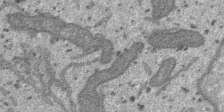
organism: Human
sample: Lung epithelial cells infected with SARS-CoV-2